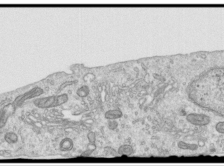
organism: Human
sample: Centriole in RPE cells